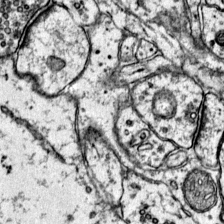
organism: Mouse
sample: Primary visual cortex